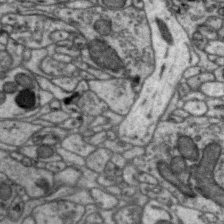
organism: Zebra finch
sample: Brain